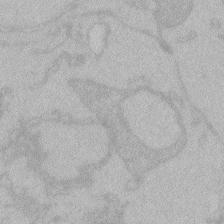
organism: Zebrafish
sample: Macrophage infected with Toxoplasma gondii